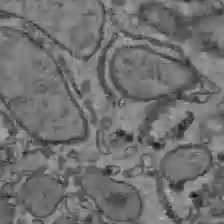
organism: C57BL Mouse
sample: Liver